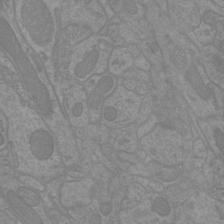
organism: Mouse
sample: Cortical neurons